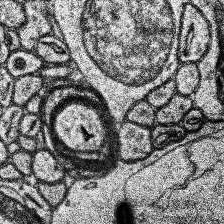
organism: Human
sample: Temporal Lobe